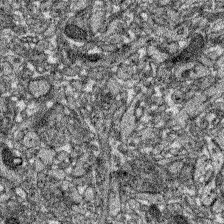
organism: Zebrafish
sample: Larval olfactory bulb